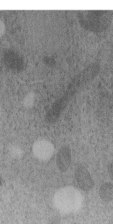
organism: C. elegans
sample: C. elegans embryo early stage